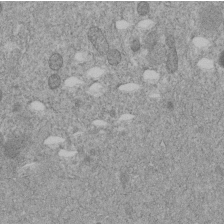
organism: C. elegans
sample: C. elegans embryo early stage